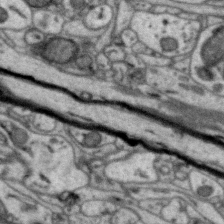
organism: Zebra finch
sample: Brain